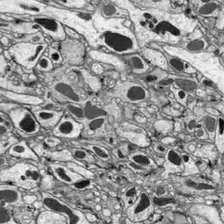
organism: Drosophila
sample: Optic lobe